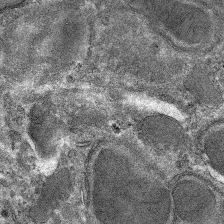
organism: Mouse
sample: Mouse hepatocytes